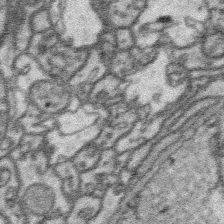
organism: Platynereis dumerilii